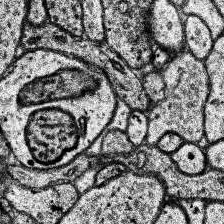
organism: Human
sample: Temporal Lobe